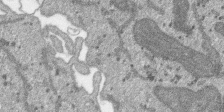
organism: Human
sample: Lung epithelial cells infected with SARS-CoV-2